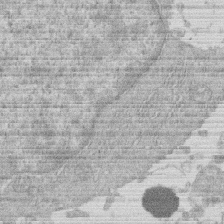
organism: Human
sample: Macrophage cells